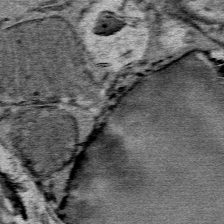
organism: Mouse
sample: Mouse Salivary gland